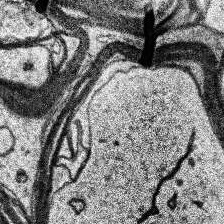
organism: Human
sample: Temporal Lobe